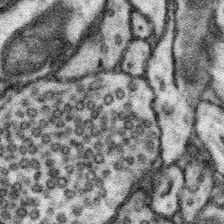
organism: Mouse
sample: Somatosensory cortex neuropil